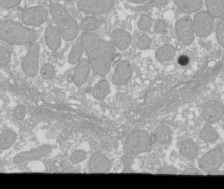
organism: Xenopus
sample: Cilia; centrioles in frog embryo cells